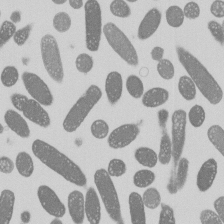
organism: E. coli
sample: Bacterial nucleoid